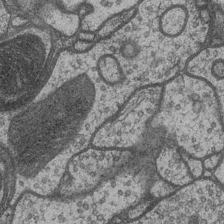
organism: Drosophila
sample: Optic medulla